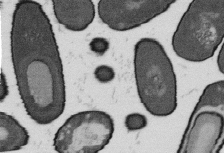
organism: B. subtilis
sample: Bacterial spore